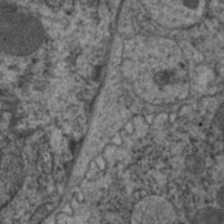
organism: C. elegans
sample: Pharynx